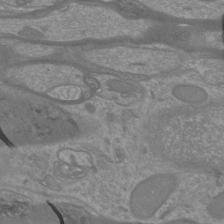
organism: Mouse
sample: Cortical neurons